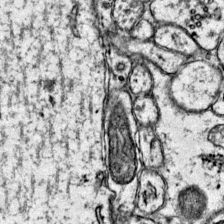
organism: Mouse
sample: Primary visual cortex